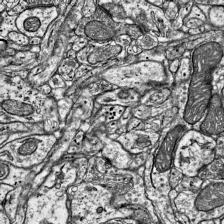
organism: Mouse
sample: Visual Cortex